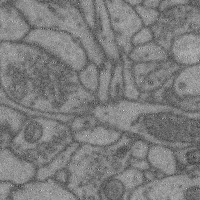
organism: Mouse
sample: Cerebral cortex